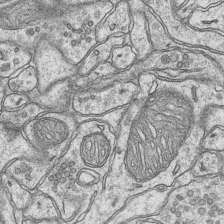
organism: Mouse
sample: CA1 Hippocampus